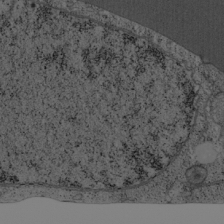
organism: African green monkey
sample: COS-7 cells